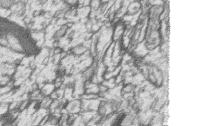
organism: Zebrafish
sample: synaptic ribbons in rod cells and cone cells